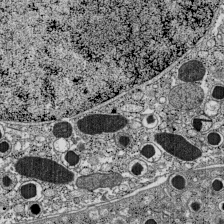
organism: C57BL Mouse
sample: Pancreatic islet